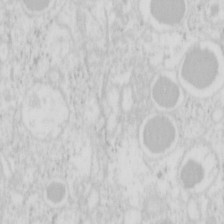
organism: Mouse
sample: Pancreas